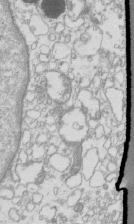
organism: Mouse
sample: Macrophages